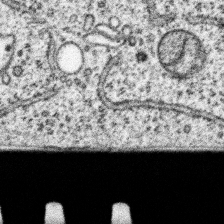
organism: Human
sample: HeLa cells